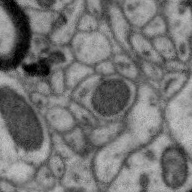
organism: Zebra finch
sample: Brain